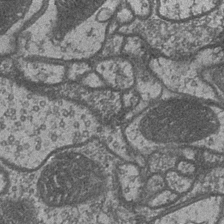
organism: Drosophila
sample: Optic medulla